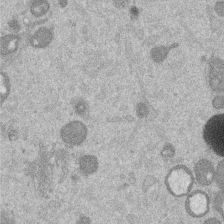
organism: Mouse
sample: Dividing mouse embryo 1 cell stage